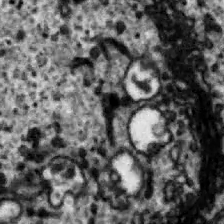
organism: Human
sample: HeLa cells